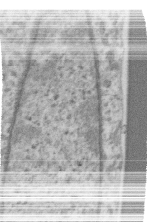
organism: Human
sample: Centriole in RPE cells